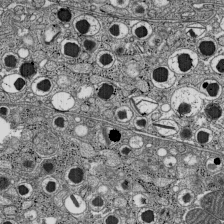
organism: C57BL Mouse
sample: Pancreatic islet